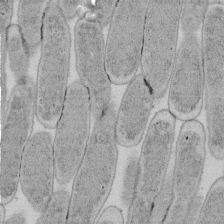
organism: E. coli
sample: Bacterial nucleoid